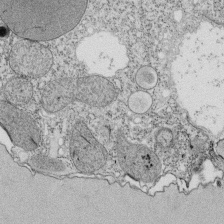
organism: Tetrahymena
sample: Cilia in tetrahymena